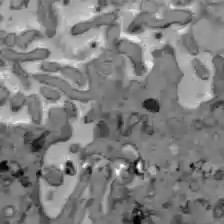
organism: C57BL Mouse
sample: Liver